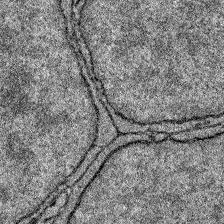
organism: Zebrafish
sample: Larval olfactory bulb